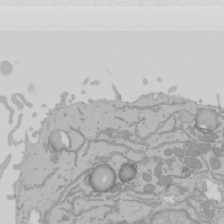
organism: Mouse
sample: Cancer cell death in ED-1 cells